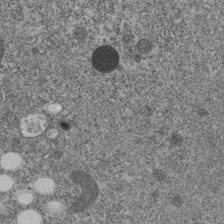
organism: C. elegans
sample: C. elegans embryo early stage